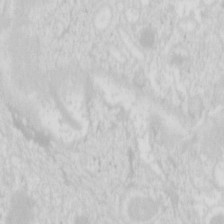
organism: Mouse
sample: Pancreas